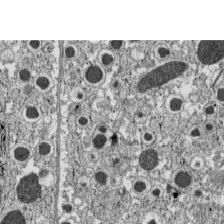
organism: C57BL Mouse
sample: Pancreatic islet